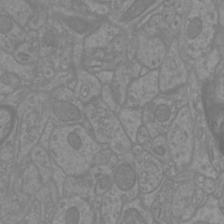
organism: Mouse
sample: Cortical neurons